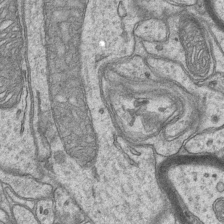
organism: Mouse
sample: CA1 Hippocampus